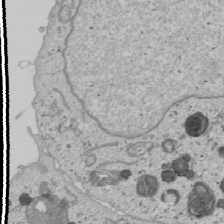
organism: Human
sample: Mitochondria in U2OS cells